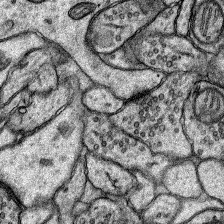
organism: Rat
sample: Hippocampus